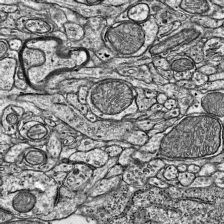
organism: Mouse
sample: Visual Cortex